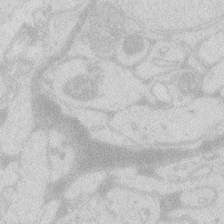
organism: Zebrafish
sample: Macrophage